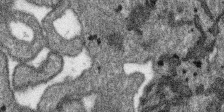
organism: Human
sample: Lung epithelial cells infected with SARS-CoV-2